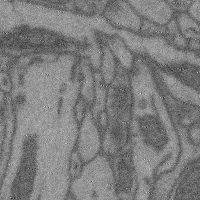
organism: Mouse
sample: Cerebral cortex